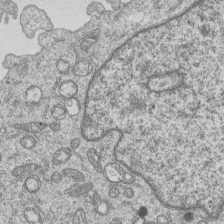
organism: Human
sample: MDA-MB-231 cells